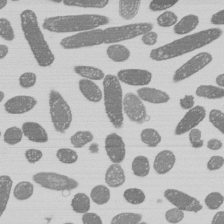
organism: E. coli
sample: Bacterial nucleoid